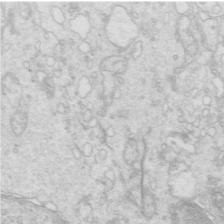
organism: Mouse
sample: Multiciliated cells